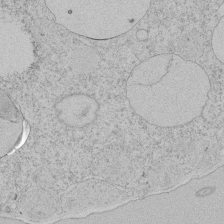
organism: Tetrahymena